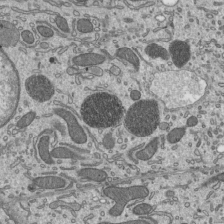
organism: Mouse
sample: Mouse epididymis efferent ductule cilia